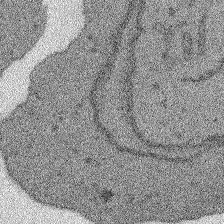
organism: Human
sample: HeLa cells